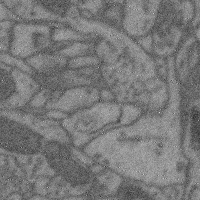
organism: Mouse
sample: Cerebral cortex